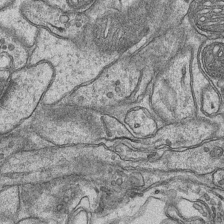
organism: Mouse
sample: CA1 Hippocampus